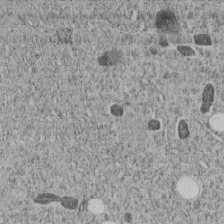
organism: C. elegans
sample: C. elegans embryo early stage